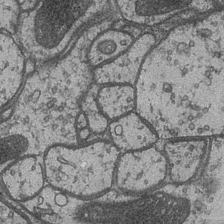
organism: Drosophila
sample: Optic medulla